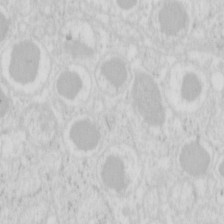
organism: Mouse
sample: Pancreas